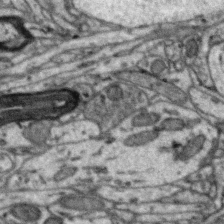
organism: Zebra finch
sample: Brain